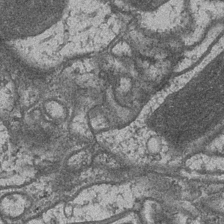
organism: Drosophila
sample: Optic medulla